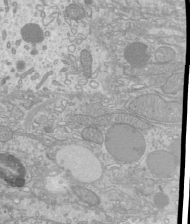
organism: Mouse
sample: Cilia; mouse epididymis